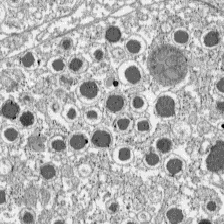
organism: C57BL Mouse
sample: Pancreatic islet